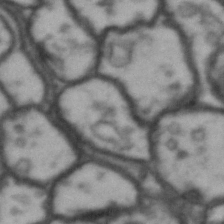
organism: Drosophila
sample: Brain